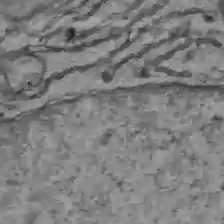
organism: C57BL Mouse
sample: Liver